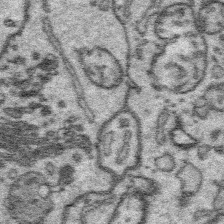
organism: Platynereis dumerilii